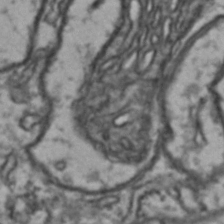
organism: Drosophila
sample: Brain